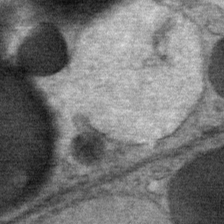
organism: Mouse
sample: Mouse Salivary gland